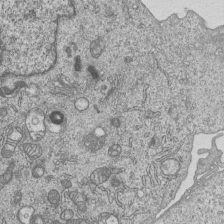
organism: Human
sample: MDA-MB-231 cells